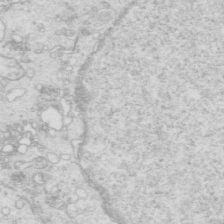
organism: Mouse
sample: Multiciliated cells